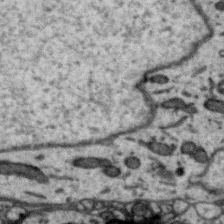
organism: Zebra finch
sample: Brain